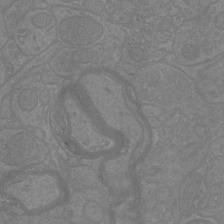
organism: Mouse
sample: Cortical neurons